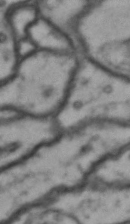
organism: Drosophila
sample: Brain